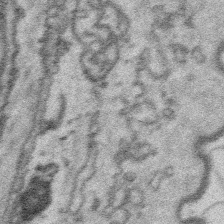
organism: Platynereis dumerilii